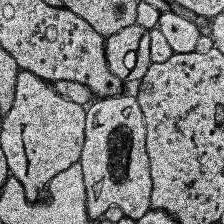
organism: Human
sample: Temporal Lobe